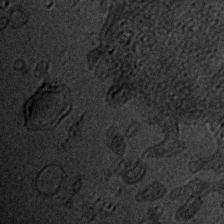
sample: Trachea